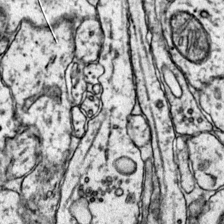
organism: Mouse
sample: Primary visual cortex